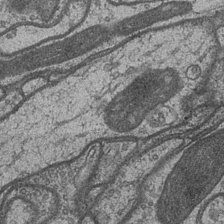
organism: Drosophila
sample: Optic medulla